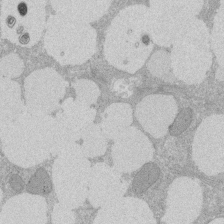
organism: Rat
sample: Salivary granule